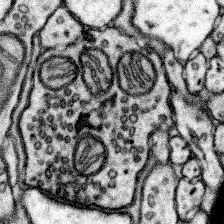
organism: Mouse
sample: Somatosensory cortex neuropil